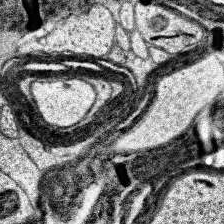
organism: Human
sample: Temporal Lobe